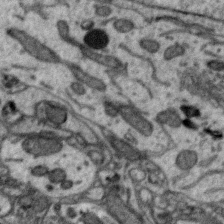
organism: Zebra finch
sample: Brain